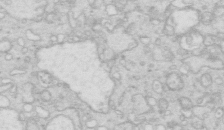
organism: Mouse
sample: Multiciliated cells